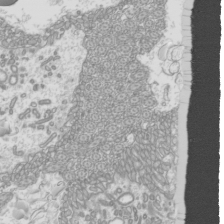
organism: Mouse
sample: Cilia; mouse epididymis